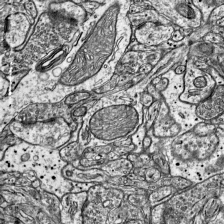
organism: Mouse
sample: Visual Cortex